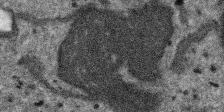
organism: Human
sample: Lung epithelial cells infected with SARS-CoV-2